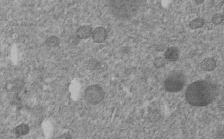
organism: C. elegans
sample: C. elegans embryo early stage